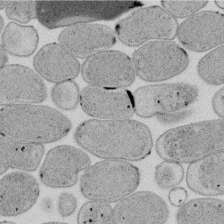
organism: E. coli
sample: Bacterial nucleoid